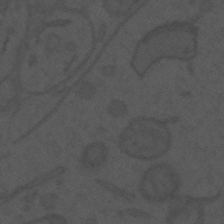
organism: Mouse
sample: Suprachiasmatic nucleus